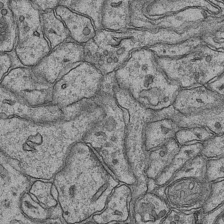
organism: Mouse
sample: CA1 Hippocampus